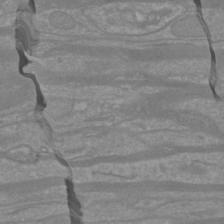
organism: Mouse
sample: Cortical neurons